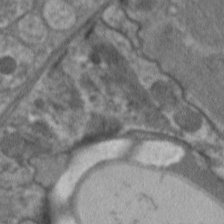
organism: C. elegans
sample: Pharynx